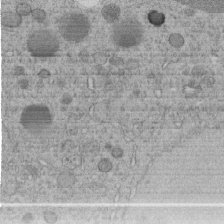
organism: C. elegans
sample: C. elegans embryo early stage